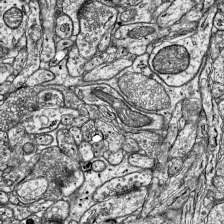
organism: Mouse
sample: Visual Cortex